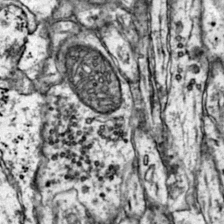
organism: Mouse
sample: Primary visual cortex